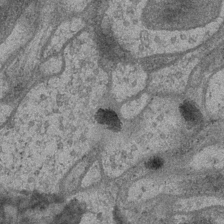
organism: Drosophila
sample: Optic medulla